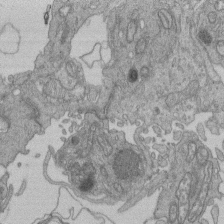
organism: Human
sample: Retinal organoid Rod and Cone cells